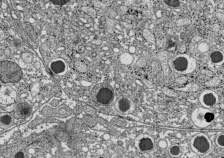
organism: C57BL Mouse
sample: Pancreatic islet